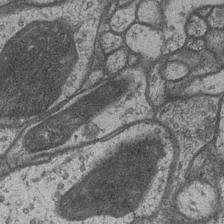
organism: Drosophila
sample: Optic medulla